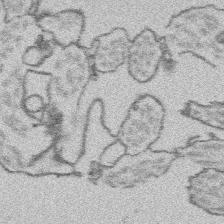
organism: Platynereis dumerilii